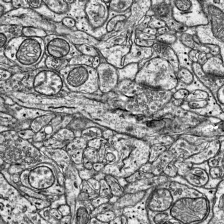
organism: Mouse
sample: Visual Cortex